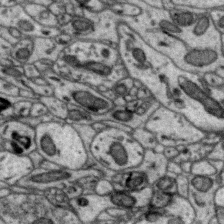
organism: Zebra finch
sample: Brain